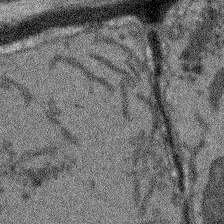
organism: Arabidopsis thaliana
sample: Root tip